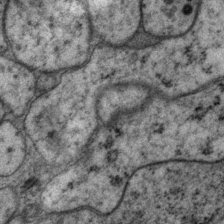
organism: P. pacificus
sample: Pharynx